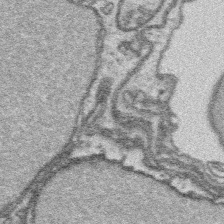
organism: Platynereis dumerilii